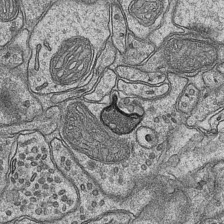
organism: Mouse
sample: CA1 Hippocampus